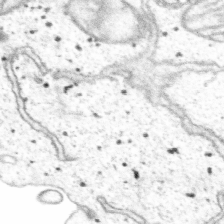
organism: Human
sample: HeLa cells